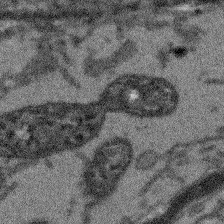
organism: Arabidopsis thaliana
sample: Root tip